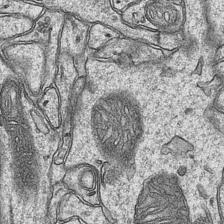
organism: Mouse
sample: CA1 Hippocampus